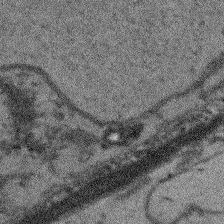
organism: Arabidopsis thaliana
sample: Root tip